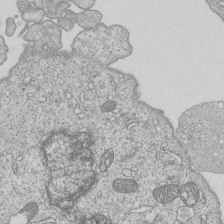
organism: Human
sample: MDA-MB-231 cells